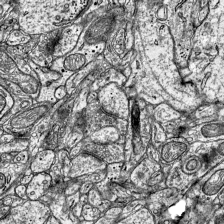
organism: Mouse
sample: Visual Cortex